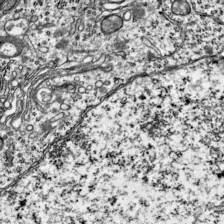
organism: Mouse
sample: Visual Cortex